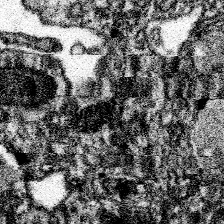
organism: Spongilla lacustris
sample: Neuroid cell